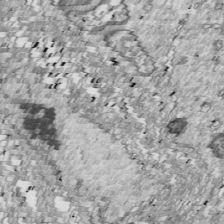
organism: Drosophila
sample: Cell division; meiosis; drosophila spermatocytes